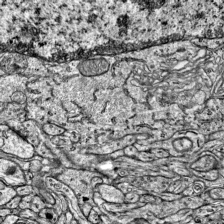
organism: Mouse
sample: Visual Cortex